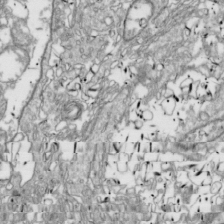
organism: Drosophila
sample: Cell division; meiosis; drosophila spermatocytes